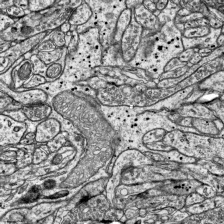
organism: Mouse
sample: Visual Cortex